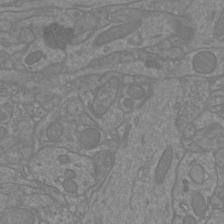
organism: Mouse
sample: Cortical neurons